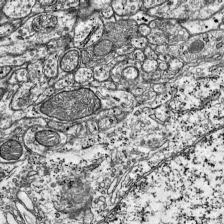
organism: Mouse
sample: Visual Cortex